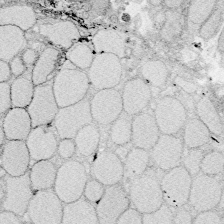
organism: Zebrafish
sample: Whole-Brain